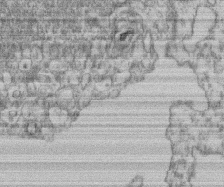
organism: Mouse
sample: T cell stromal cell synapse